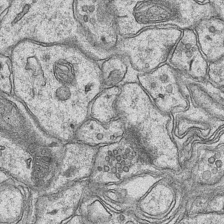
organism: Mouse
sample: CA1 Hippocampus